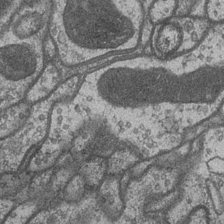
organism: Drosophila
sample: Optic medulla